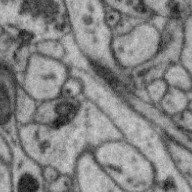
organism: Zebra finch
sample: Brain